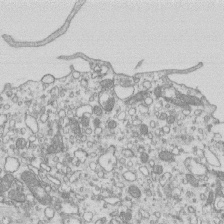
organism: Mouse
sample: Macrophages